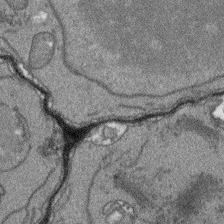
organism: Arabidopsis thaliana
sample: Root tip